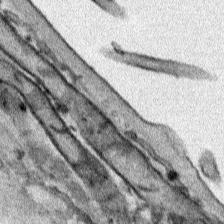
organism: Human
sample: Mitochondria in HCT116 cells